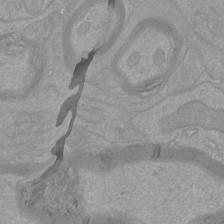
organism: Mouse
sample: Cortical neurons